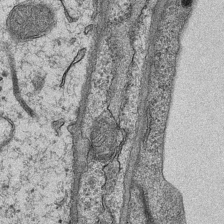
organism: Mouse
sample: CA1 Hippocampus